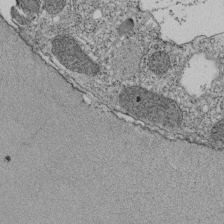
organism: Tetrahymena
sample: Cilia in tetrahymena